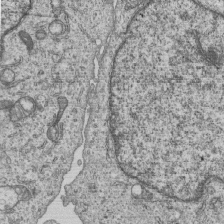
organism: Human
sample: MDA-MB-231 cells